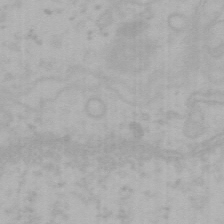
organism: Mouse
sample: Choroid plexus